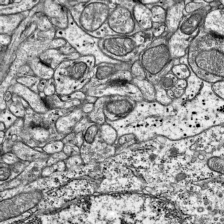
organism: Mouse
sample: Visual Cortex